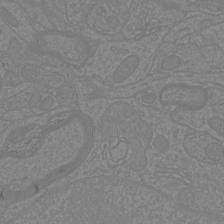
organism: Mouse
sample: Cortical neurons